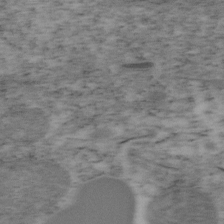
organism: Mouse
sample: OT-I killer T cells with ID8 ovarian cancer cells